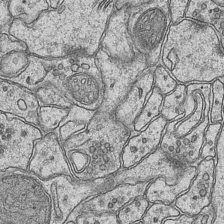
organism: Mouse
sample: CA1 Hippocampus